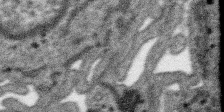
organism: Human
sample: Lung epithelial cells infected with SARS-CoV-2